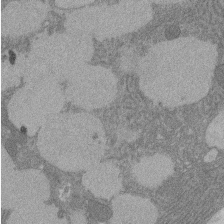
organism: Rat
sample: Salivary granule